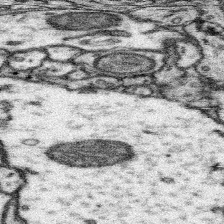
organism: Mouse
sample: Somatosensory cortex neuropil